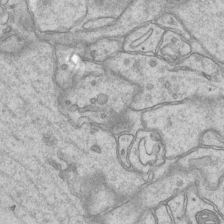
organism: Mouse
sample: CA1 Hippocampus